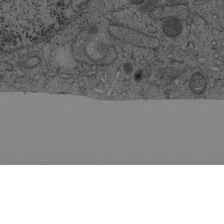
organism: African green monkey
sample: COS-7 cells